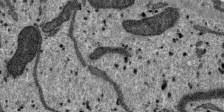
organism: Human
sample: Lung epithelial cells, uninfected (mock) control